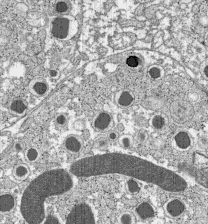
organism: C57BL Mouse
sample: Pancreatic islet